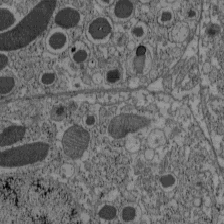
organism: C57BL Mouse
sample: Pancreatic islet